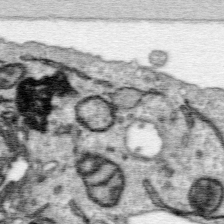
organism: Human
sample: HeLa cells